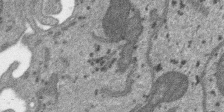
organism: Human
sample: Lung epithelial cells infected with SARS-CoV-2